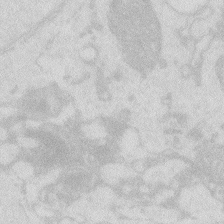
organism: Zebrafish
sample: Macrophage